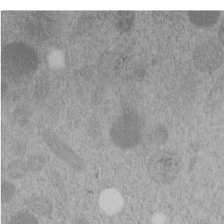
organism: C. elegans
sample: C. elegans embryo early stage